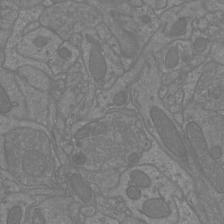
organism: Mouse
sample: Cortical neurons